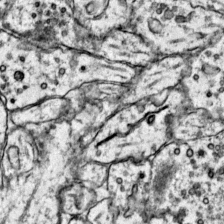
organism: Mouse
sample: Primary visual cortex